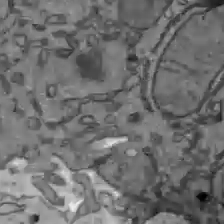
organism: C57BL Mouse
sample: Liver